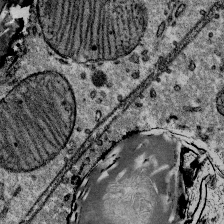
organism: Mouse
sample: Mouse Salivary gland